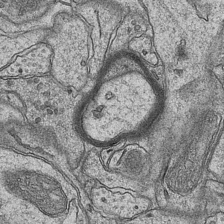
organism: Mouse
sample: CA1 Hippocampus